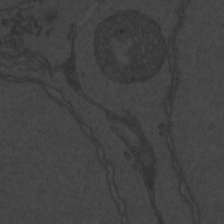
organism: Zebrafish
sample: Macrophage infected with Toxoplasma gondii